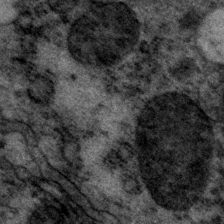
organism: P. pacificus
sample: Pharynx